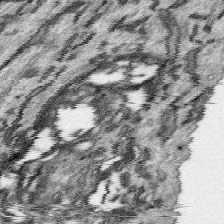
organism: Human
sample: HeLa cells